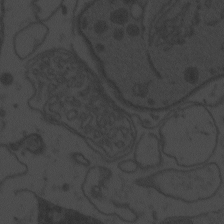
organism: Zebrafish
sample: Macrophage infected with Toxoplasma gondii